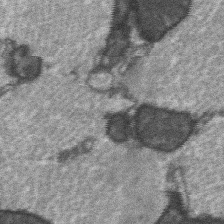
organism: C57BL Mouse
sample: Soleus